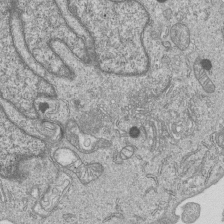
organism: Human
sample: MDA-MB-231 cells